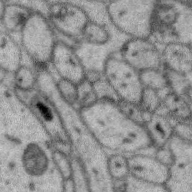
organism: Zebra finch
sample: Brain